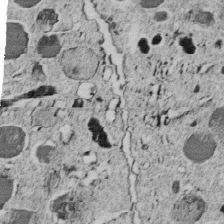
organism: C. elegans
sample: C. elegans embryo early stage